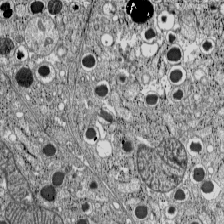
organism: C57BL Mouse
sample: Pancreatic islet